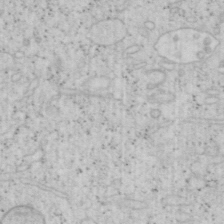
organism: Human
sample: HeLa cells